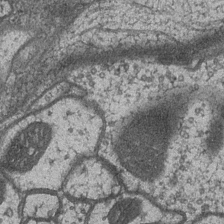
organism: Drosophila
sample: Optic medulla